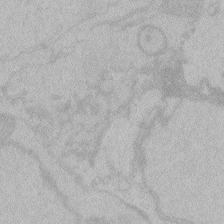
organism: Zebrafish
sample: Macrophage infected with Toxoplasma gondii